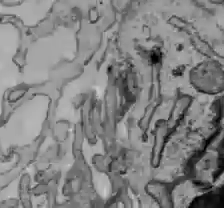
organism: C57BL Mouse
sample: Liver